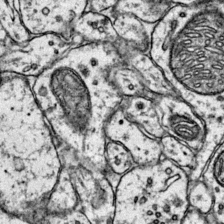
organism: Mouse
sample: Primary visual cortex